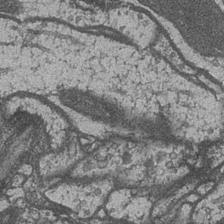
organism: Drosophila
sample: Optic medulla